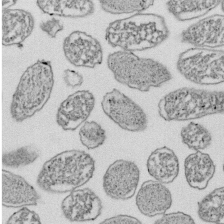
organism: E. coli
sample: Bacterial nucleoid